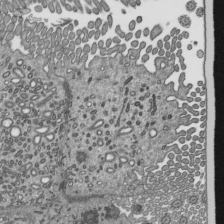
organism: Mouse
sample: Mouse epididymis efferent ductule cilia